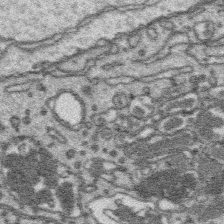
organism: Platynereis dumerilii